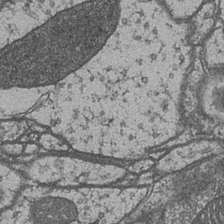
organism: Drosophila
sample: Optic medulla